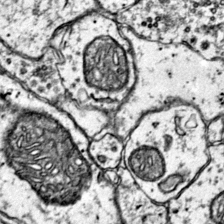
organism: Mouse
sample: Primary visual cortex